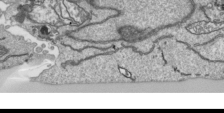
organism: Human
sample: Mitochondria in HCT116 cells